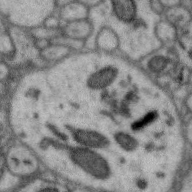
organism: Zebra finch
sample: Brain